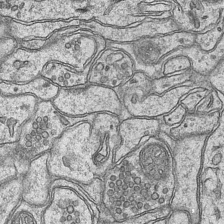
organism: Mouse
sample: CA1 Hippocampus